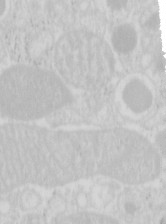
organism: Mouse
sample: Pancreas